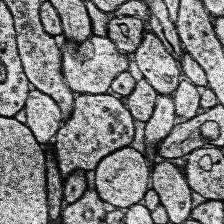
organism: Human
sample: Temporal Lobe